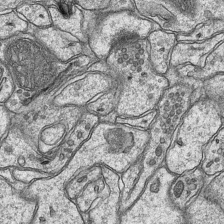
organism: Mouse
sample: CA1 Hippocampus